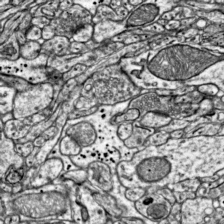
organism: Mouse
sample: Visual Cortex